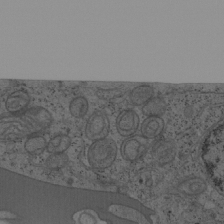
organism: Human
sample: HeLa cells